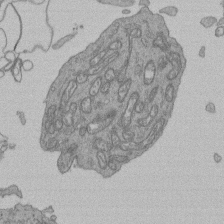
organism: Human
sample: Retinal organoid Rod and Cone cells